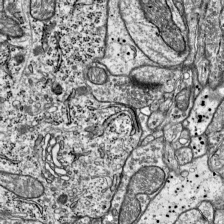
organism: Mouse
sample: Visual Cortex